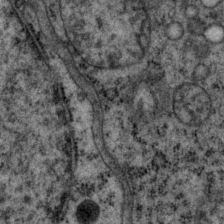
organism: P. pacificus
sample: Pharynx